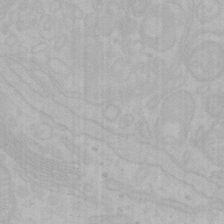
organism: Mouse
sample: Choroid plexus